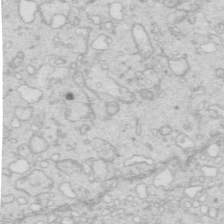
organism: Mouse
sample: Multiciliated cells